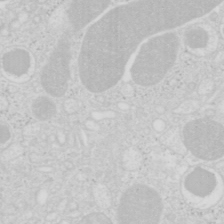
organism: Mouse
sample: Pancreas